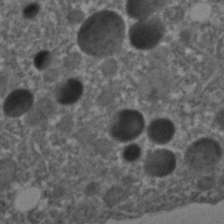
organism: C. elegans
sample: C. elegans embryo